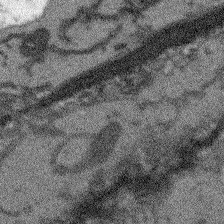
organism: Arabidopsis thaliana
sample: Root tip